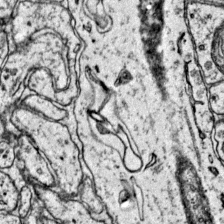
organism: Mouse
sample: Primary visual cortex